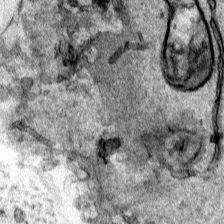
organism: Human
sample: Mitochondria in HCT116 cells